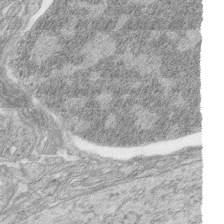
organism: Zebrafish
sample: synaptic ribbons in rod cells and cone cells